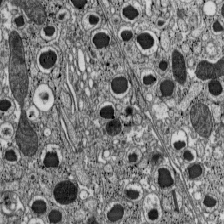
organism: C57BL Mouse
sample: Pancreatic islet